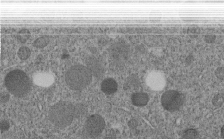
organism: C. elegans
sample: C. elegans embryo early stage